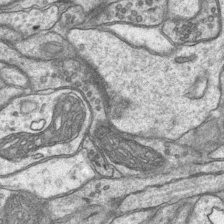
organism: Mouse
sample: CA1 Hippocampus